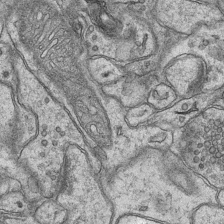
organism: Mouse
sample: CA1 Hippocampus